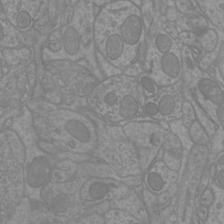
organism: Mouse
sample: Cortical neurons